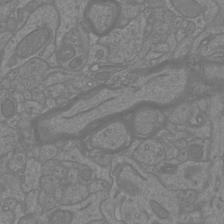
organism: Mouse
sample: Cortical neurons